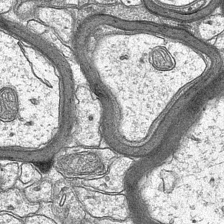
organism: Mouse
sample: CA1 Hippocampus